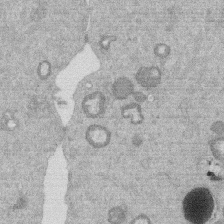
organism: Mouse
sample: Dividing mouse embryo 1 cell stage